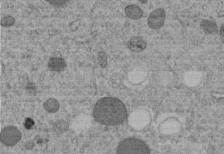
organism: C. elegans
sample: C. elegans embryo early stage